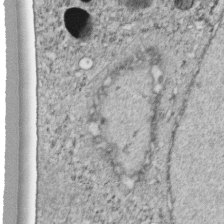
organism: C. elegans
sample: C. elegans embryo early stage